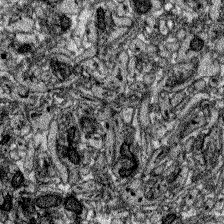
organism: Zebrafish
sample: Larval olfactory bulb